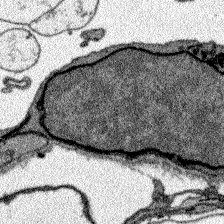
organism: Zebrafish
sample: Larval olfactory bulb